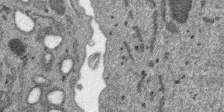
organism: Human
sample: Lung epithelial cells infected with SARS-CoV-2